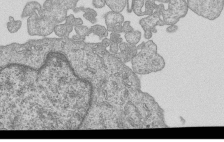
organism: Human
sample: MDA-MB-231 cells